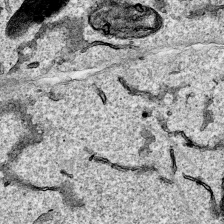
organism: Human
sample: Mitochondria in HCT116 cells